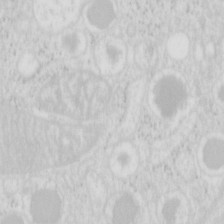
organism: Mouse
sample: Pancreas